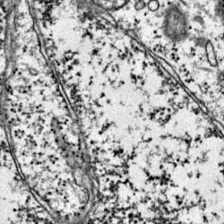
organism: Mouse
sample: Primary visual cortex